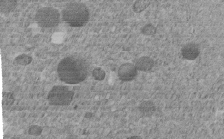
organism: C. elegans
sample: C. elegans embryo early stage